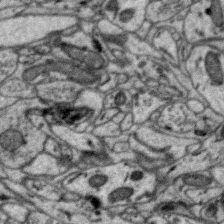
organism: Zebra finch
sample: Brain